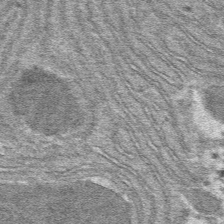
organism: Mouse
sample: Mouse hepatocytes